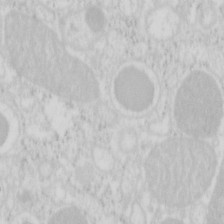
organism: Mouse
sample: Pancreas